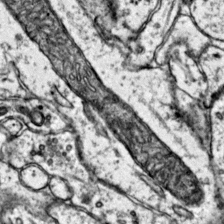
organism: Mouse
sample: Primary visual cortex